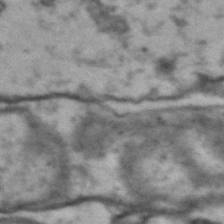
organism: Drosophila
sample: Brain